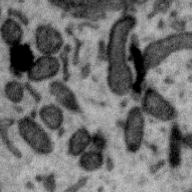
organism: Zebra finch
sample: Brain